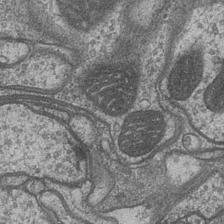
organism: Drosophila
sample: Optic medulla